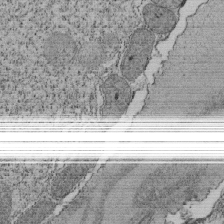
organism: Tetrahymena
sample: Cilia in tetrahymena